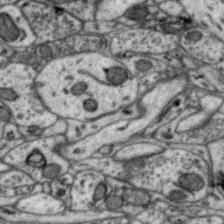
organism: Zebra finch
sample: Brain